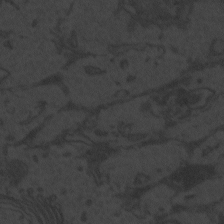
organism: Zebrafish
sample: Macrophage infected with Toxoplasma gondii